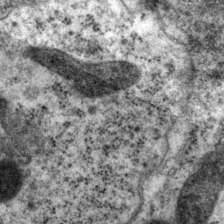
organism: P. pacificus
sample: Pharynx